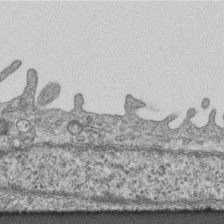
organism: Mouse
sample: Centriole in ependymal cells